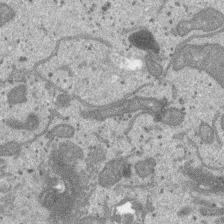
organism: Human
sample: Lung epithelial cells infected with SARS-CoV-2